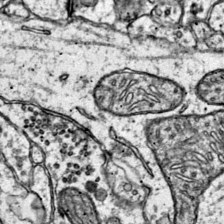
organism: Mouse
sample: Primary visual cortex